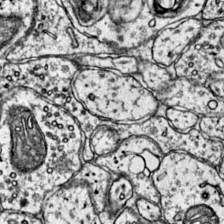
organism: Mouse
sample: Primary visual cortex